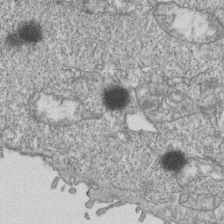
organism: Human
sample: HeLa cell HIV synapse